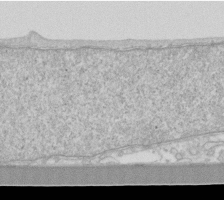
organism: Human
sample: Fibroblast cells